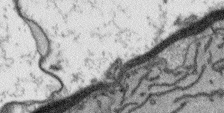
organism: Arabidopsis thaliana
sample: Root tip